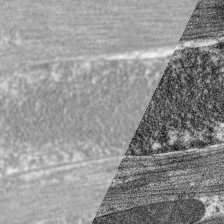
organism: C. elegans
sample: Pharynx